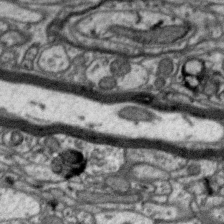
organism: Zebra finch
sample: Brain